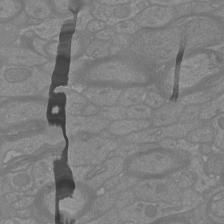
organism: Mouse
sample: Cortical neurons